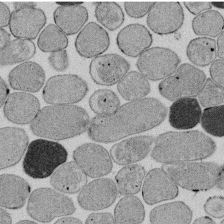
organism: E. coli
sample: Bacterial nucleoid